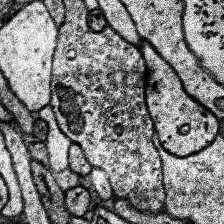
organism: Human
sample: Temporal Lobe